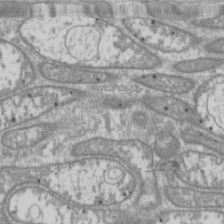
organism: Drosophila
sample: Cell division; meiosis; drosophila spermatocytes